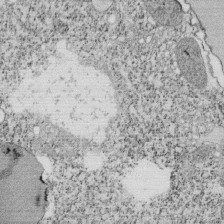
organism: Tetrahymena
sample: Cilia in tetrahymena